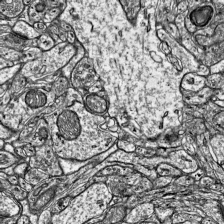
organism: Mouse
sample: Visual Cortex